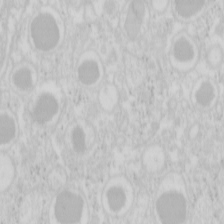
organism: Mouse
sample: Pancreas